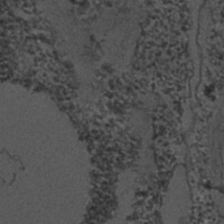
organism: C. elegans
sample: C. elegans embryo